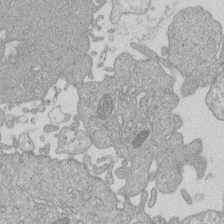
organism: Human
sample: Macrophage cells